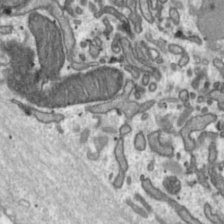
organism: Toxoplasma gondii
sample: Parasites in a vacuole inside a host cell